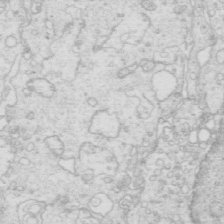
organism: Mouse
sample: Multiciliated cells